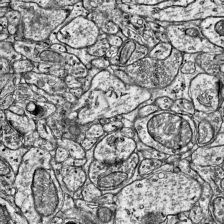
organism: Mouse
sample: Visual Cortex